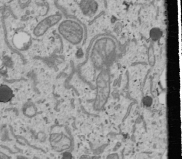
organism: Human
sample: Mitochondria in U2OS cells